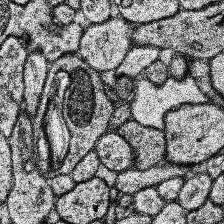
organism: Human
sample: Temporal Lobe